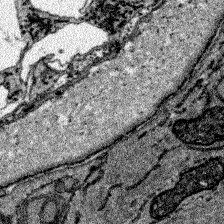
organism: Zebrafish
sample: Larval olfactory bulb